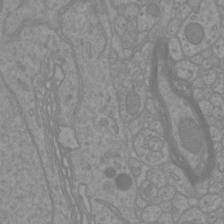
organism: Mouse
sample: Cortical neurons